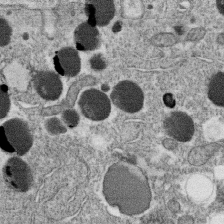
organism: C. elegans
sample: C. elegans oocyte; sperm cells